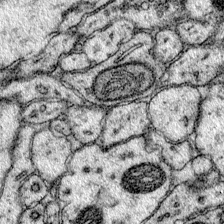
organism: Mouse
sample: Primary visual cortex